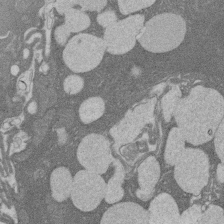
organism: Rat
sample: Salivary granule